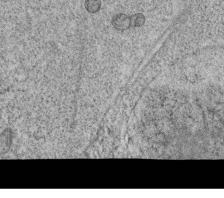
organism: C. elegans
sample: C. elegans oocyte; sperm cells